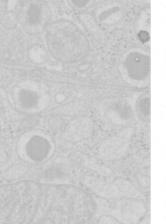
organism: Mouse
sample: Pancreas